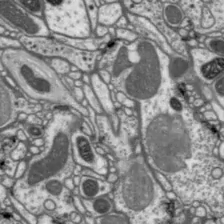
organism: Drosophila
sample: Protocerebral bridge